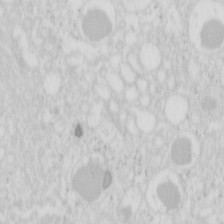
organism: Mouse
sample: Pancreas